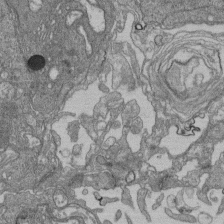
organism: Human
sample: Retinal organoid Rod and Cone cells